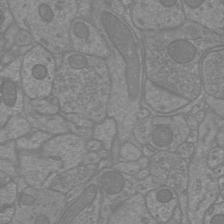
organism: Mouse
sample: Cortical neurons